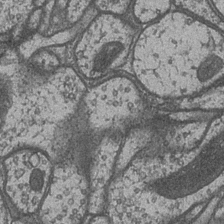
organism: Drosophila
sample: Optic medulla